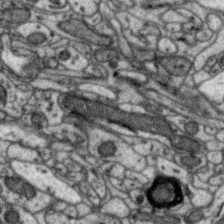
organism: Zebra finch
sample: Brain